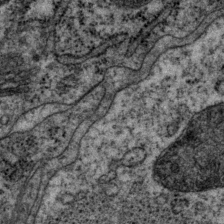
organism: P. pacificus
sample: Pharynx